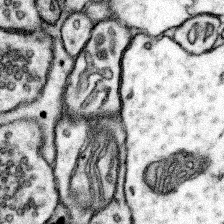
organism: Mouse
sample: Somatosensory cortex neuropil